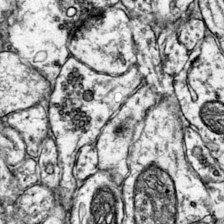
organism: Mouse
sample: Primary visual cortex